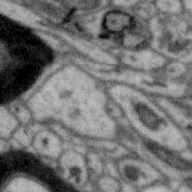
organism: Zebra finch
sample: Brain